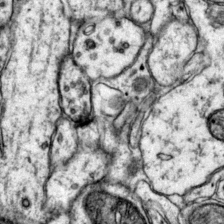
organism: Mouse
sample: Primary visual cortex